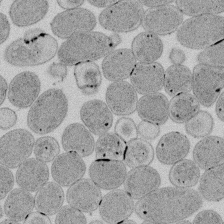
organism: E. coli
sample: Bacterial nucleoid